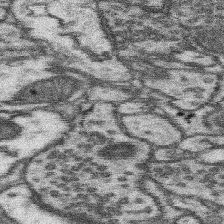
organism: Mouse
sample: Somatosensory cortex neuropil